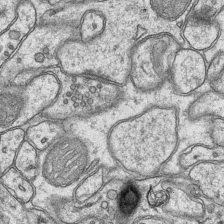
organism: Mouse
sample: CA1 Hippocampus